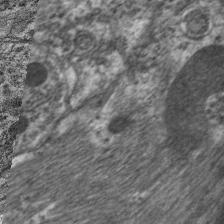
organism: C. elegans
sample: Pharynx